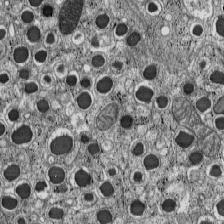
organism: C57BL Mouse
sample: Pancreatic islet